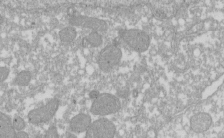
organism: Xenopus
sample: Cilia; centrioles in frog embryo cells